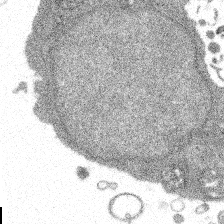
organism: Spongilla lacustris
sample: Multiple